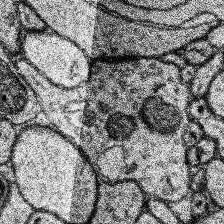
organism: Human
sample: Temporal Lobe